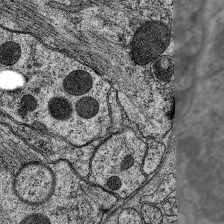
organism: C. elegans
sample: Pharynx